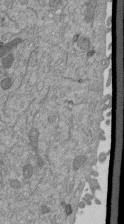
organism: Mouse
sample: ED-1 cell nuclei; centrioles